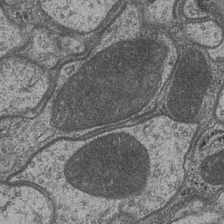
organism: Drosophila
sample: Optic medulla